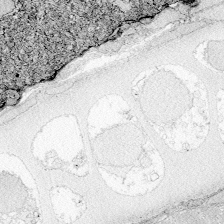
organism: Zebrafish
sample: Whole-Brain